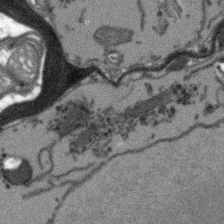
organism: Arabidopsis thaliana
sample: Root tip